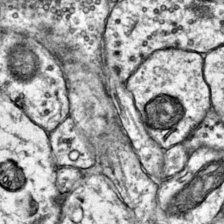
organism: Mouse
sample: Primary visual cortex